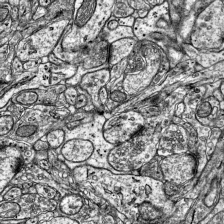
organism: Mouse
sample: Visual Cortex